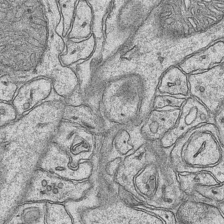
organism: Mouse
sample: CA1 Hippocampus